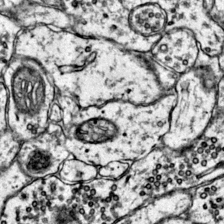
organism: Mouse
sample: Primary visual cortex